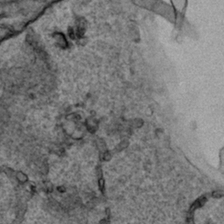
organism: Human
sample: Mitochondria in HCT116 cells